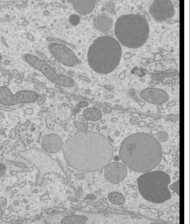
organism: Mouse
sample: Cilia; mouse epididymis